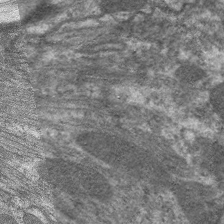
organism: C. elegans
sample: Pharynx